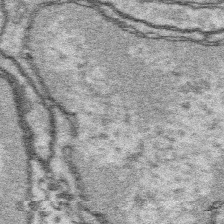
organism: Platynereis dumerilii